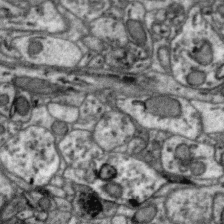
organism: Zebra finch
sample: Brain